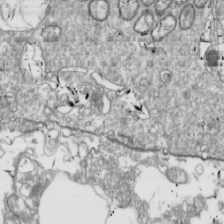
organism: Drosophila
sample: Cell division; meiosis; drosophila spermatocytes